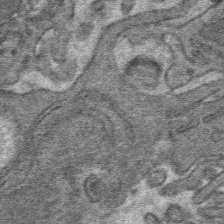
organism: Mouse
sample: Mouse hepatocytes